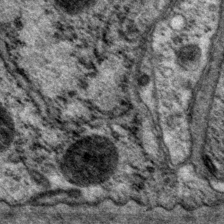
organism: P. pacificus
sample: Pharynx